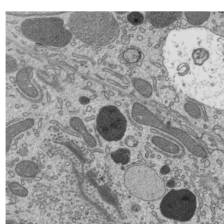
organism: Mouse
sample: Mouse epididymis efferent ductule cilia